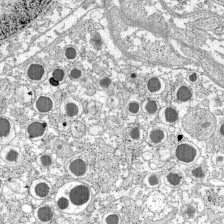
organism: C57BL Mouse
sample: Pancreatic islet